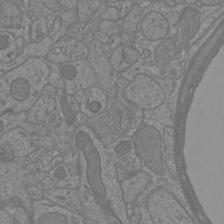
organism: Mouse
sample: Cortical neurons